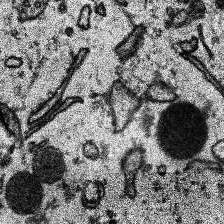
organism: Human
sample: Temporal Lobe